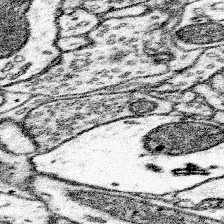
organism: Mouse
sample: Somatosensory cortex neuropil